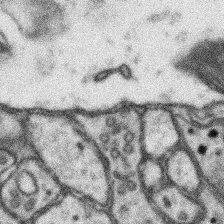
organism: Mouse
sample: Somatosensory cortex neuropil